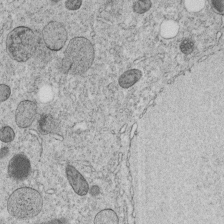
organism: C. elegans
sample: C. elegans embryo early stage